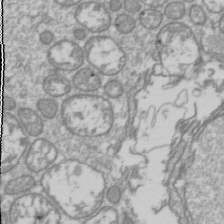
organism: Drosophila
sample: Cell division; meiosis; drosophila spermatocytes